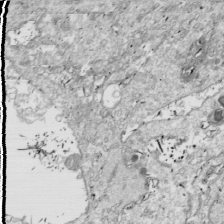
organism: Drosophila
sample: Cell division; meiosis; drosophila spermatocytes